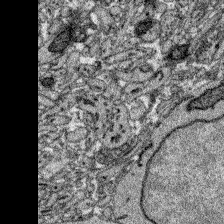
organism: Zebrafish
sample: Larval olfactory bulb